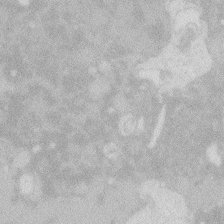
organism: Zebrafish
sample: Macrophage